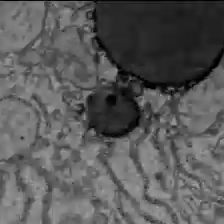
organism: C57BL Mouse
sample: Liver